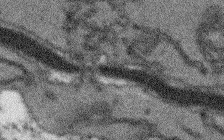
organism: Arabidopsis thaliana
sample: Root tip